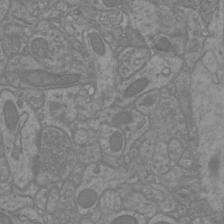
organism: Mouse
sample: Cortical neurons